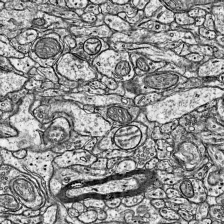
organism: Mouse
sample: Visual Cortex